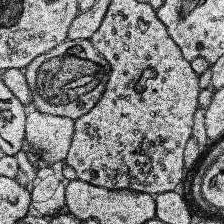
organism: Human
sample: Temporal Lobe